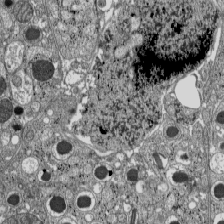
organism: C57BL Mouse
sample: Pancreatic islet